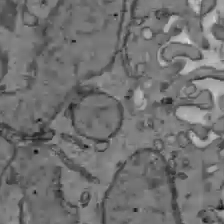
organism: C57BL Mouse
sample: Liver